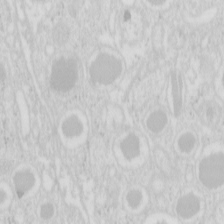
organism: Mouse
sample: Pancreas